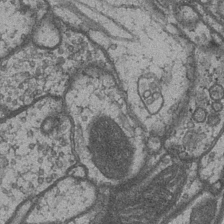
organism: Drosophila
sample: Optic medulla